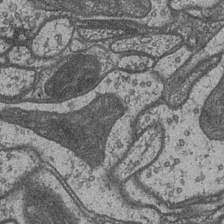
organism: Drosophila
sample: Optic medulla